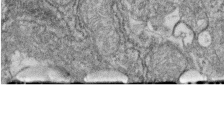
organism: Zebrafish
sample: Cilia; retinal pigment epithelium